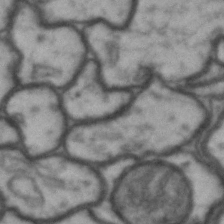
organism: Drosophila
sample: Brain